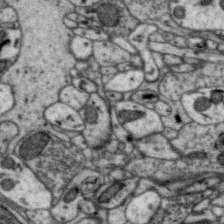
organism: Zebra finch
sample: Brain